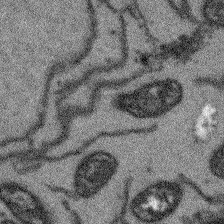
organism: Arabidopsis thaliana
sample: Root tip